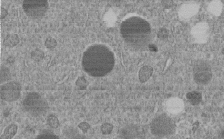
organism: C. elegans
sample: C. elegans embryo early stage